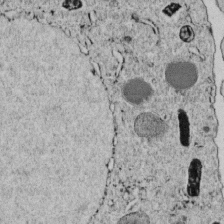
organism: C. elegans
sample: C. elegans embryo early stage